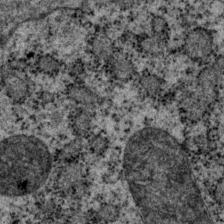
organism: P. pacificus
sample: Pharynx